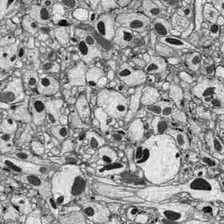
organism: Drosophila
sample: Optic lobe